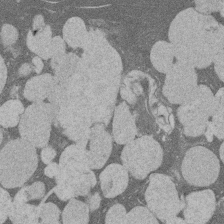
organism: Rat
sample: Salivary granule